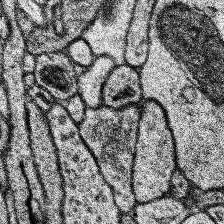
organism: Human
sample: Temporal Lobe